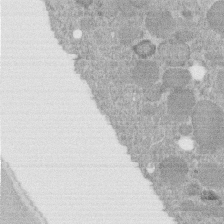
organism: C. elegans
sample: C. elegans embryo early stage